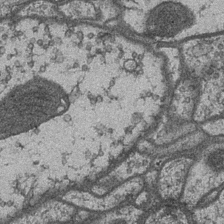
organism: Drosophila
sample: Optic medulla